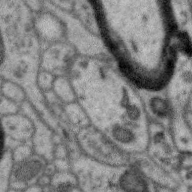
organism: Zebra finch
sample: Brain